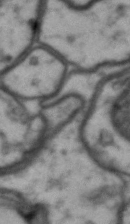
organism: Drosophila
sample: Brain